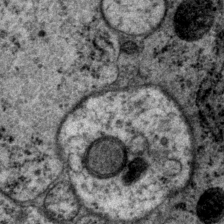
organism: P. pacificus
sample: Pharynx